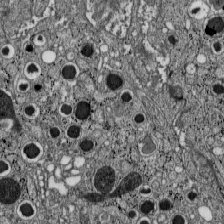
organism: C57BL Mouse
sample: Pancreatic islet